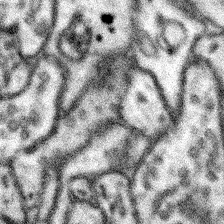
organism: Mouse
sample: Somatosensory cortex neuropil